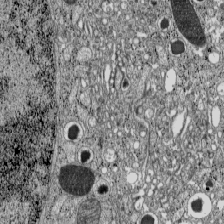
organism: C57BL Mouse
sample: Pancreatic islet